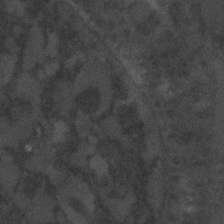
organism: C. elegans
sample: C. elegans embryo